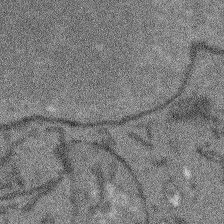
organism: Arabidopsis thaliana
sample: Root tip